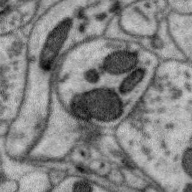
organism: Zebra finch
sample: Brain